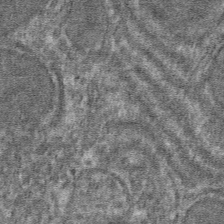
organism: Mouse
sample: Mouse hepatocytes